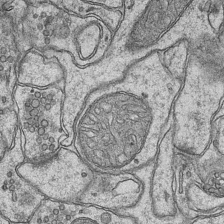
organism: Mouse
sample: CA1 Hippocampus